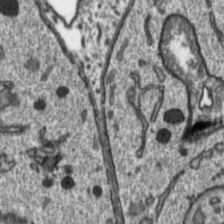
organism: Toxoplasma gondii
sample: Parasites in a vacuole inside a host cell